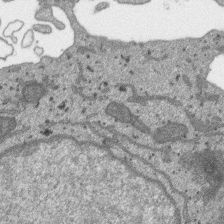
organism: Human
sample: Lung epithelial cells infected with SARS-CoV-2